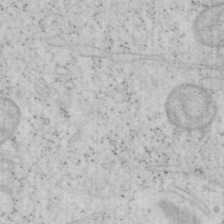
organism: Human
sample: HeLa cells